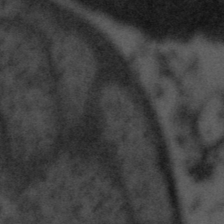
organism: Tuwongella immobilis